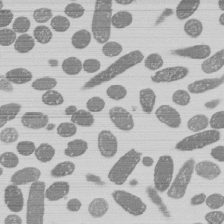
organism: E. coli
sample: Bacterial nucleoid